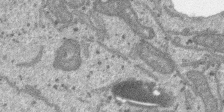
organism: Human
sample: Lung epithelial cells infected with SARS-CoV-2